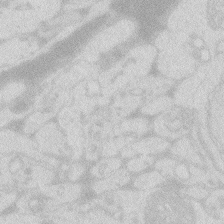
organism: Zebrafish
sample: Macrophage